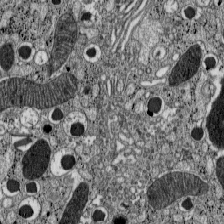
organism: C57BL Mouse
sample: Pancreatic islet